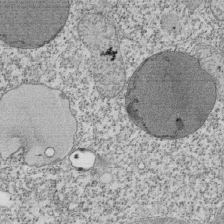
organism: Tetrahymena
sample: Cilia in tetrahymena